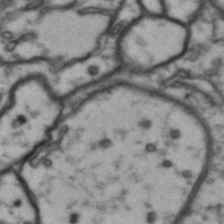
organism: Drosophila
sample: Brain